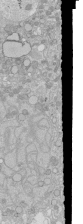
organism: Human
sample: Caco-2 cells